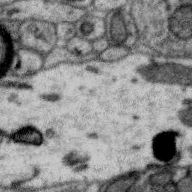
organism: Zebra finch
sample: Brain